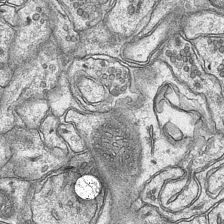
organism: Mouse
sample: CA1 Hippocampus